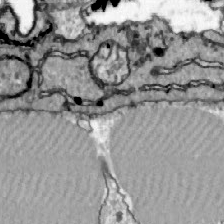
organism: Zebrafish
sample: Actinotrichia fibers